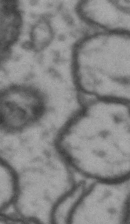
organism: Drosophila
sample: Brain